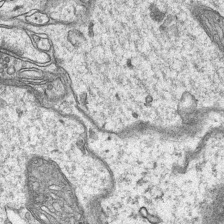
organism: Mouse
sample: CA1 Hippocampus